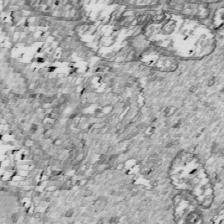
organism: Drosophila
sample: Cell division; meiosis; drosophila spermatocytes